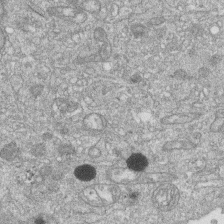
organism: Human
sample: HeLa cell HIV synapse